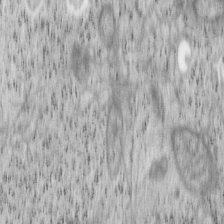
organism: Human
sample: HeLa cells